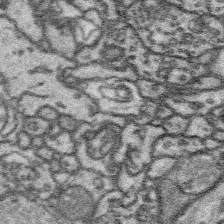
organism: Platynereis dumerilii